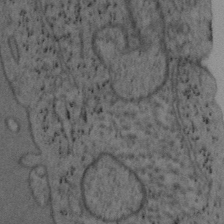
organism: Human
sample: HeLa cells